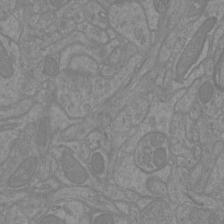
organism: Mouse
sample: Cortical neurons